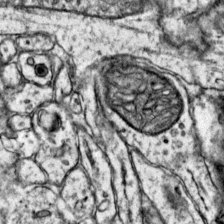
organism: Mouse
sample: Primary visual cortex